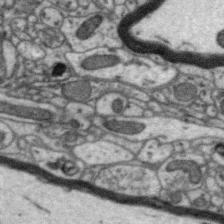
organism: Zebra finch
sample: Brain